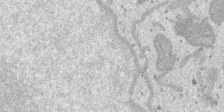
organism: Human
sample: Lung epithelial cells infected with SARS-CoV-2